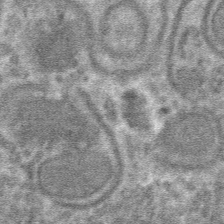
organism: Mouse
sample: Mouse hepatocytes